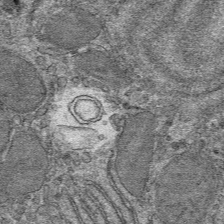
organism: Mouse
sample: Mouse hepatocytes